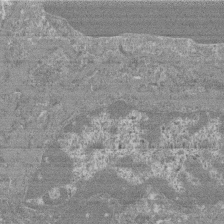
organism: Mouse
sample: Glomerulus